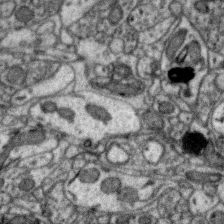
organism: Zebra finch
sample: Brain